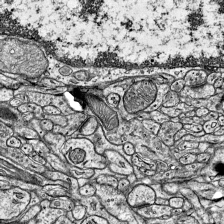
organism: Mouse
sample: Visual Cortex